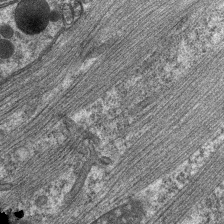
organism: C. elegans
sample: Pharynx